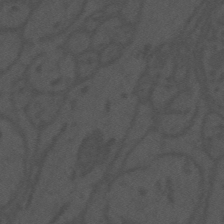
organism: Mouse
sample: Suprachiasmatic nucleus